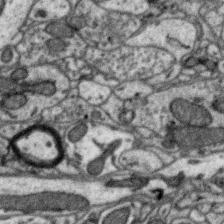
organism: Zebra finch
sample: Brain